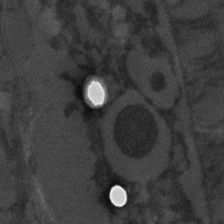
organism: C. elegans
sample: C. elegans embryo